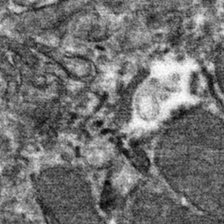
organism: Mouse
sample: Mouse hepatocytes